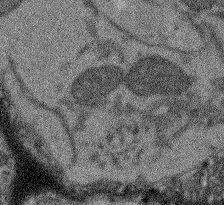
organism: Arabidopsis thaliana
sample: Root tip